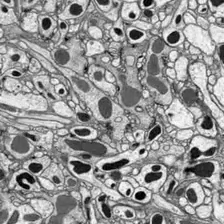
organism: Drosophila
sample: Optic lobe